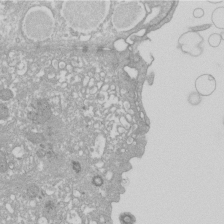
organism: Xenopus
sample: Cilia; centrioles in frog embryo cells